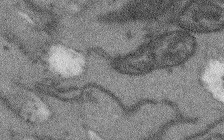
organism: Arabidopsis thaliana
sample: Root tip